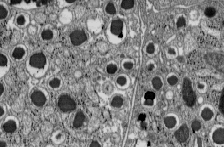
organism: C57BL Mouse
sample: Pancreatic islet